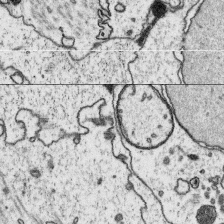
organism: Platynereis dumerilii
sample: Parapodia